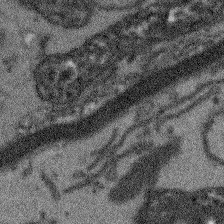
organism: Arabidopsis thaliana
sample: Root tip